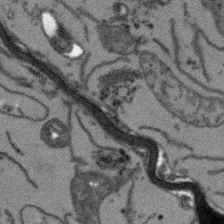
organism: Arabidopsis thaliana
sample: Root tip